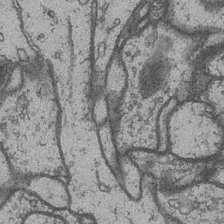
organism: Drosophila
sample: Optic medulla